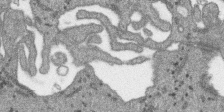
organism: Human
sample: Lung epithelial cells infected with SARS-CoV-2